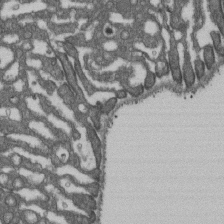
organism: Drosophila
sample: Nephrocyte